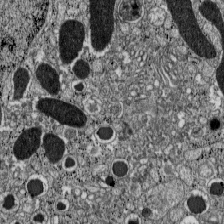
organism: C57BL Mouse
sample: Pancreatic islet